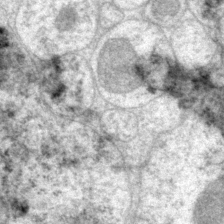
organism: P. pacificus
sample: Pharynx